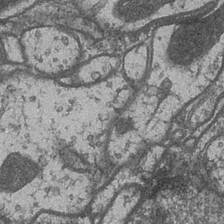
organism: Drosophila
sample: Optic medulla